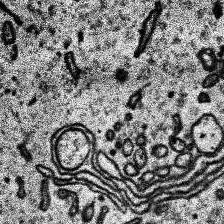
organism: Human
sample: Temporal Lobe